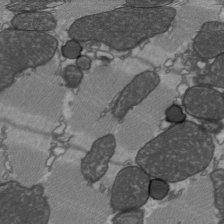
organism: C57BL Mouse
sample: Heart